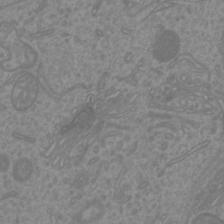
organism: Mouse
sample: Cortical neurons